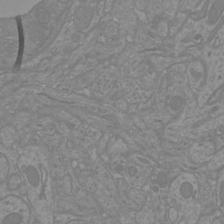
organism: Mouse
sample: Cortical neurons